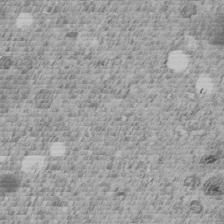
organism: C. elegans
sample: C. elegans embryo early stage